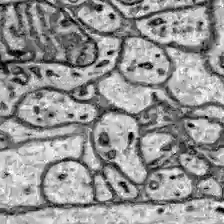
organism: Zebrafish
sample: Brain